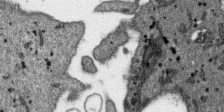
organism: Human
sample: Lung epithelial cells, uninfected (mock) control